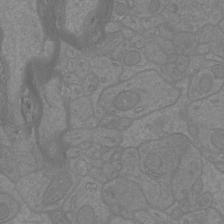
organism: Mouse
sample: Cortical neurons